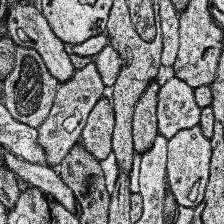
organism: Human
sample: Temporal Lobe